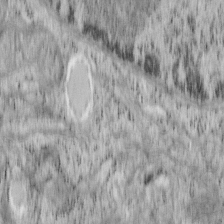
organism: Human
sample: HeLa cells